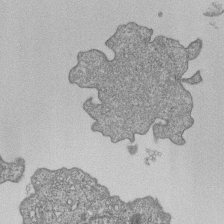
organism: Human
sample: MDA-MB-231 cells